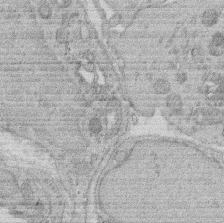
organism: Rat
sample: Salivary granule